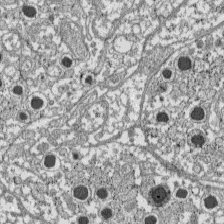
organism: C57BL Mouse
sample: Pancreatic islet